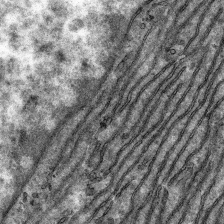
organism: Mouse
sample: Mouse hepatocytes